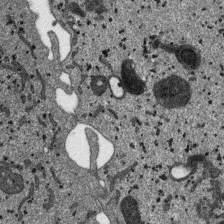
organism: Human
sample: Lung epithelial cells infected with SARS-CoV-2